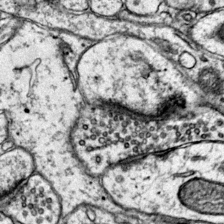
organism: Mouse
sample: Primary visual cortex